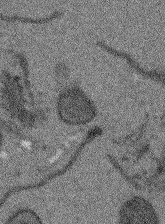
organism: Arabidopsis thaliana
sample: Root tip